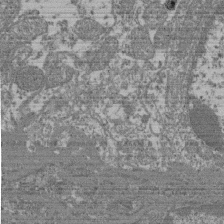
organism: Mouse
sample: Glomerulus